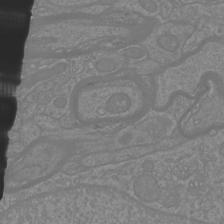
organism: Mouse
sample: Cortical neurons